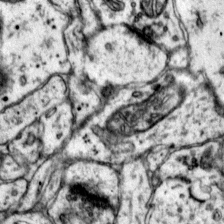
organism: Mouse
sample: Primary visual cortex